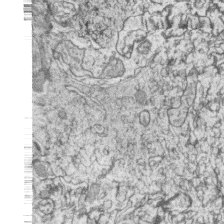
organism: Zebrafish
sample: synaptic ribbons in rod cells and cone cells